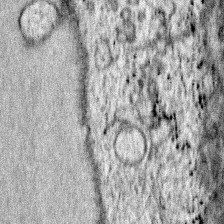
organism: Human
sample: HeLa cells